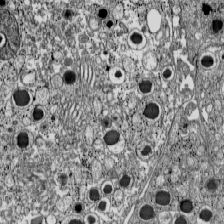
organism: C57BL Mouse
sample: Pancreatic islet